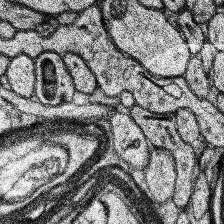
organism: Human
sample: Temporal Lobe